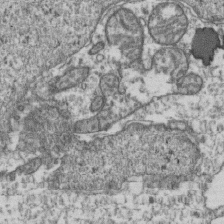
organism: Human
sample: Activated Jurkat CD4+ T cells